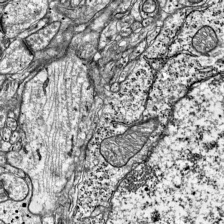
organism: Mouse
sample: Visual Cortex